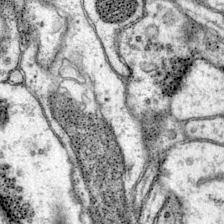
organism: Mouse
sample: Primary visual cortex